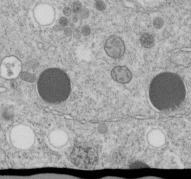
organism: C. elegans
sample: C. elegans embryo early stage